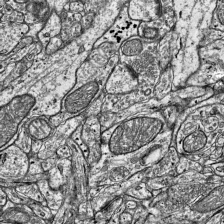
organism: Mouse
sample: Visual Cortex